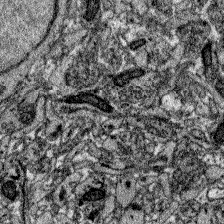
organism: Zebrafish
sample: Larval olfactory bulb